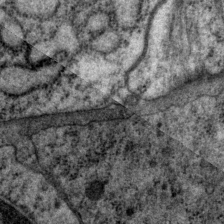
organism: P. pacificus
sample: Pharynx